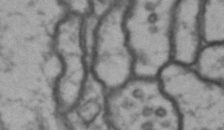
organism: Drosophila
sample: Brain